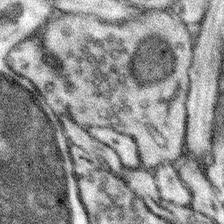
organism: Mouse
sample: Somatosensory cortex neuropil